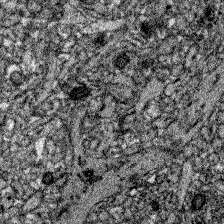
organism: Zebrafish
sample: Larval olfactory bulb